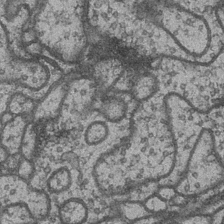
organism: Drosophila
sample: Optic medulla